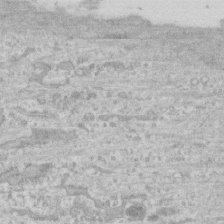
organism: Human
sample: CRL-1474